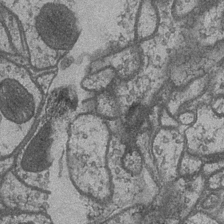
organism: Drosophila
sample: Optic medulla